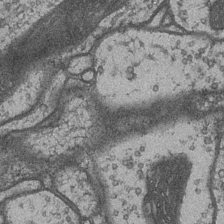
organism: Drosophila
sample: Optic medulla